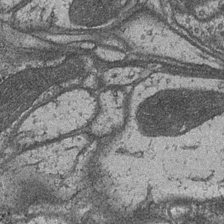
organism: Drosophila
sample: Optic medulla